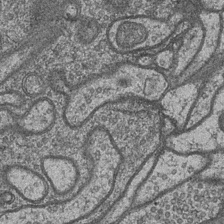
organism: Drosophila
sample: Optic medulla